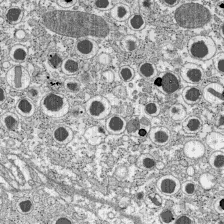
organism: C57BL Mouse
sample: Pancreatic islet